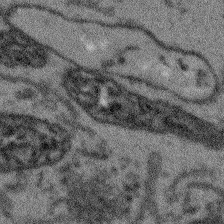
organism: Arabidopsis thaliana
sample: Root tip